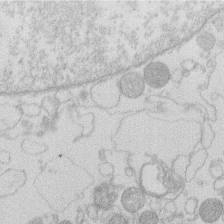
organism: Human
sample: Macrophage cells